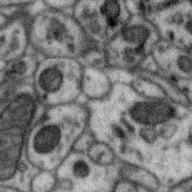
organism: Zebra finch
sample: Brain